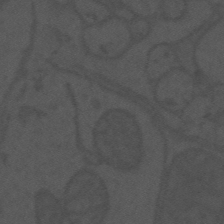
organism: Mouse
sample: Suprachiasmatic nucleus